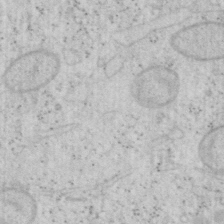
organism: Human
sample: HeLa cells